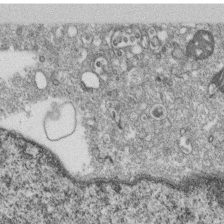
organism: African green monkey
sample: Vero E6 cells infected with SARS-CoV-2